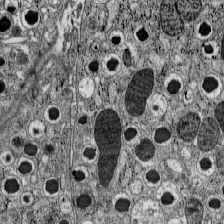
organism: C57BL Mouse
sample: Pancreatic islet